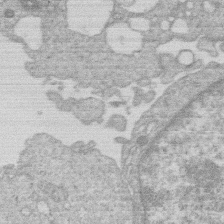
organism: Human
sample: Macrophage cells